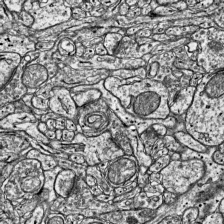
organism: Mouse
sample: Visual Cortex